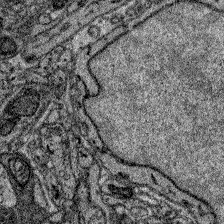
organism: Zebrafish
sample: Larval olfactory bulb